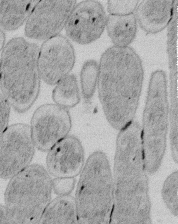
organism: E. coli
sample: Bacterial nucleoid